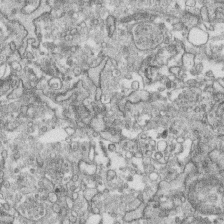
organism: Human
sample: CRL-1474